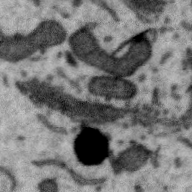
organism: Zebra finch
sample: Brain